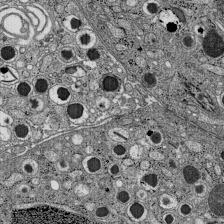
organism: C57BL Mouse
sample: Pancreatic islet